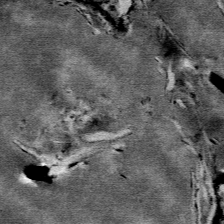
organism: Mouse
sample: Mouse Salivary gland